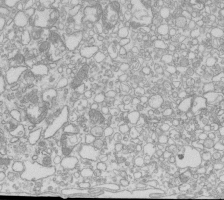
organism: Mouse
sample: Macrophages